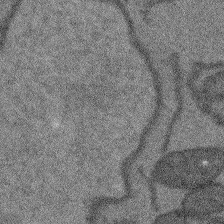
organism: Arabidopsis thaliana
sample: Root tip